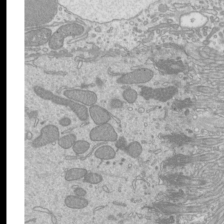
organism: Mouse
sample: Cilia; mouse epididymis